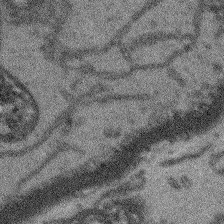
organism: Arabidopsis thaliana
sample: Root tip